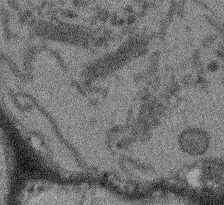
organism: Arabidopsis thaliana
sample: Root tip